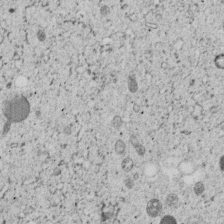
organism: C. elegans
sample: C. elegans embryo early stage